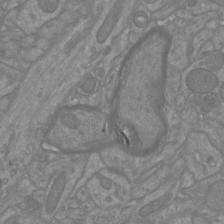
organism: Mouse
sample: Cortical neurons